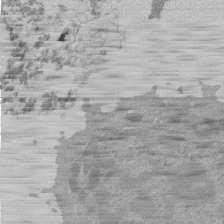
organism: Mouse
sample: Activated Pmel transgenic CD8+ T Cells